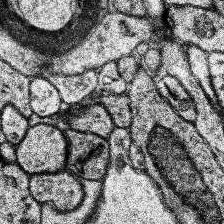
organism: Human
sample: Temporal Lobe